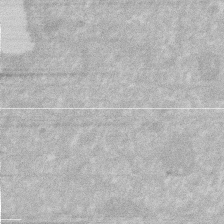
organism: Human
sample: HIV infected U937 cells